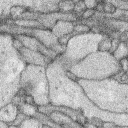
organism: Rabbit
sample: Retina